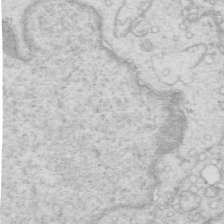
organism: Mouse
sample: Multiciliated cells